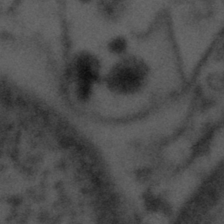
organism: Tuwongella immobilis